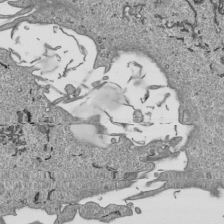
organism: Human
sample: Mitochondria in HCT116 cells